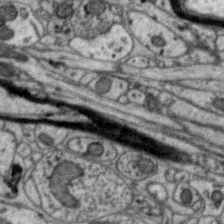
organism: Zebra finch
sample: Brain